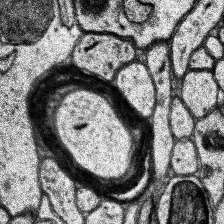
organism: Human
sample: Temporal Lobe